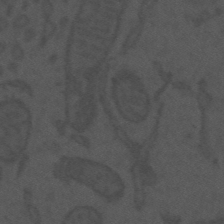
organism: Mouse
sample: Suprachiasmatic nucleus